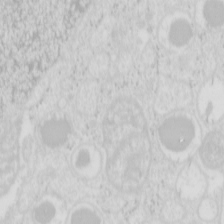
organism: Mouse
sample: Pancreas